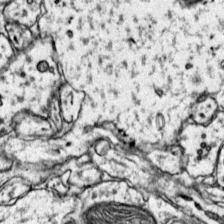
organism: Mouse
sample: Primary visual cortex